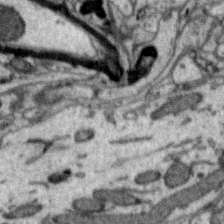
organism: Zebra finch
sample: Brain